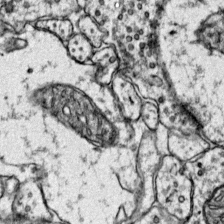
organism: Mouse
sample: Primary visual cortex